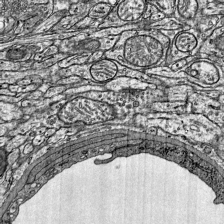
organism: Mouse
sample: Visual Cortex